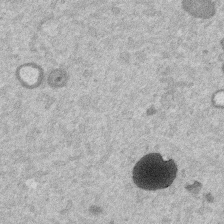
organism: Mouse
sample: Dividing mouse embryo 1 cell stage